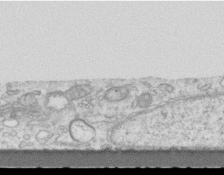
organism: Mouse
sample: Centriole in ependymal cells